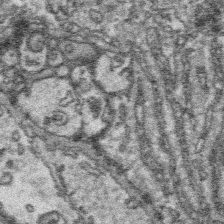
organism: Platynereis dumerilii